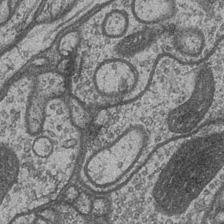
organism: Drosophila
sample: Optic medulla